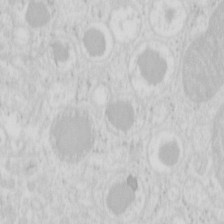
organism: Mouse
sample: Pancreas